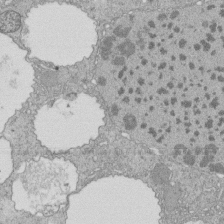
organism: Tetrahymena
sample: Cilia in tetrahymena